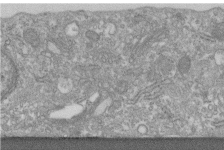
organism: Human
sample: Centriole in fibroblast cells